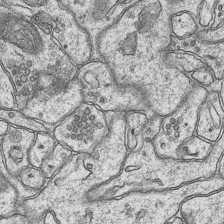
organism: Mouse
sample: CA1 Hippocampus